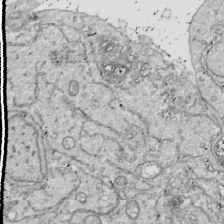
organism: Drosophila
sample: Cell division; meiosis; drosophila spermatocytes